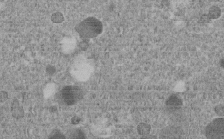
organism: C. elegans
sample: C. elegans embryo early stage